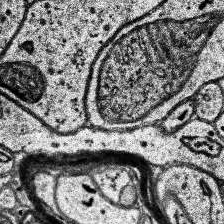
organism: Human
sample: Temporal Lobe